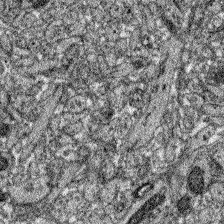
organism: Zebrafish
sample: Larval olfactory bulb